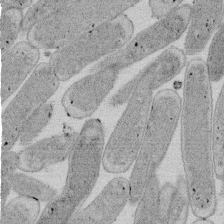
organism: E. coli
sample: Bacterial nucleoid